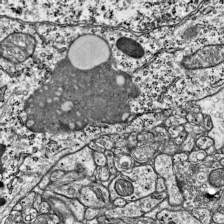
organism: Mouse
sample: Visual Cortex